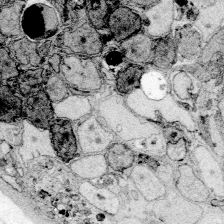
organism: Zebrafish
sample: Whole-Brain